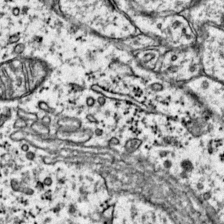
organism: Mouse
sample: Primary visual cortex